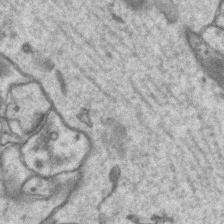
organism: Mouse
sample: CA1 Hippocampus